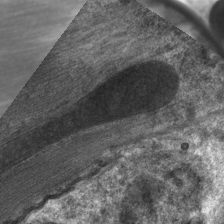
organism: C. elegans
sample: Pharynx